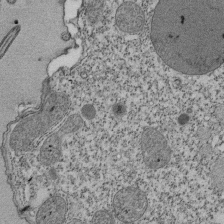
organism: Tetrahymena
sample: Cilia in tetrahymena